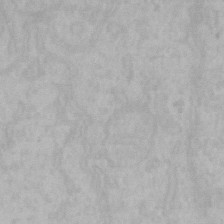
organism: Mouse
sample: Choroid plexus